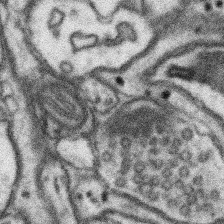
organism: Mouse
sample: Somatosensory cortex neuropil